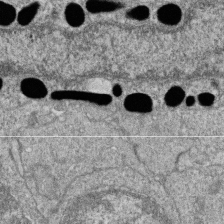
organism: Zebrafish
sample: Cilia; retinal pigment epithelium